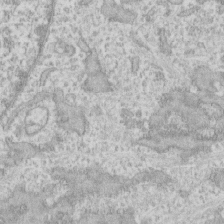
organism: Human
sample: CRL-1474